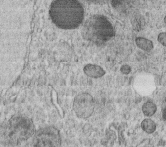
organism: C. elegans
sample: C. elegans embryo early stage